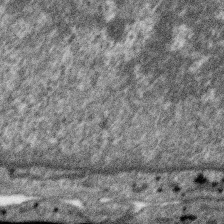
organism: Human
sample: Lung epithelial cells infected with SARS-CoV-2